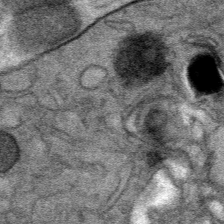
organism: Mouse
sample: Mouse Salivary gland